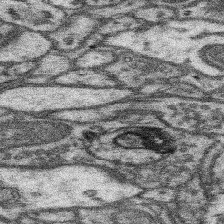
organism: Mouse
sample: Somatosensory cortex neuropil